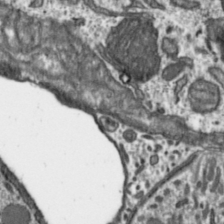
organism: Toxoplasma gondii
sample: Parasites in a vacuole inside a host cell